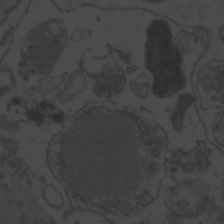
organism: Zebrafish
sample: Macrophage infected with Toxoplasma gondii